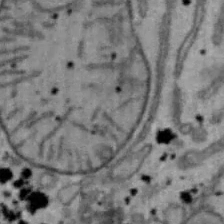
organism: Mouse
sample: Liver